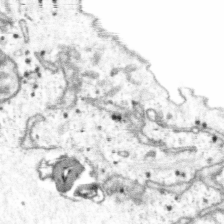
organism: Human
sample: HeLa cells